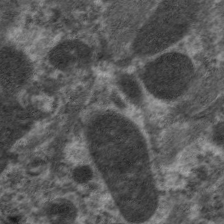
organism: C. elegans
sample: Pharynx